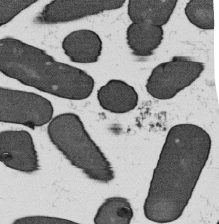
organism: B. subtilis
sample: Bacterial spore